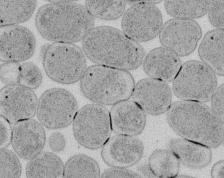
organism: E. coli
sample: Bacterial nucleoid